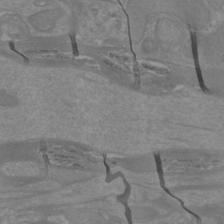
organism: Mouse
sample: Cortical neurons